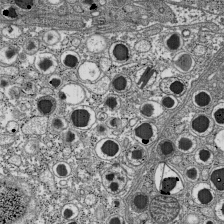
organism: C57BL Mouse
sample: Pancreatic islet